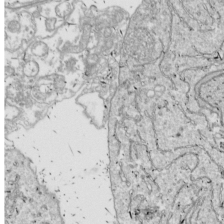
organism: Drosophila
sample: Cell division; meiosis; drosophila spermatocytes